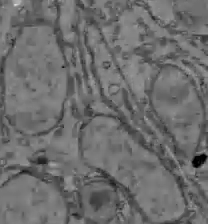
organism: C57BL Mouse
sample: Liver